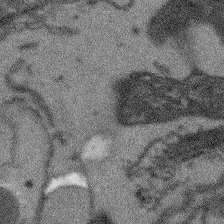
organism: Arabidopsis thaliana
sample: Root tip